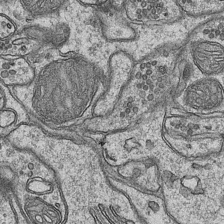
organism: Mouse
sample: CA1 Hippocampus